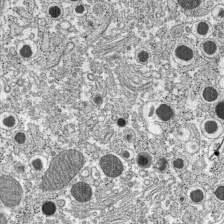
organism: C57BL Mouse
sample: Pancreatic islet